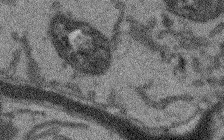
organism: Arabidopsis thaliana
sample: Root tip